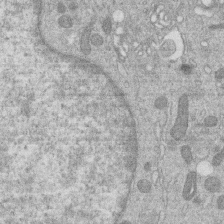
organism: Human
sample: Macrophage cells